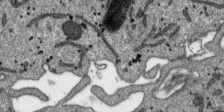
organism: Human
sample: Lung epithelial cells, uninfected (mock) control